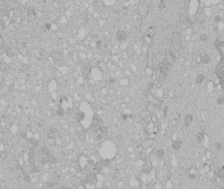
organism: Human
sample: Melanocyte Keratinocyte synapse skin construct